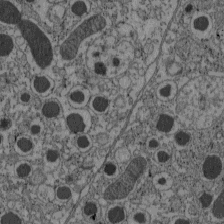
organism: C57BL Mouse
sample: Pancreatic islet